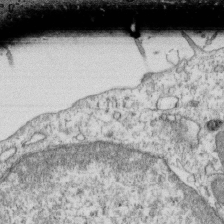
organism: Mouse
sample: Activated OT-1 CD8+ T cells